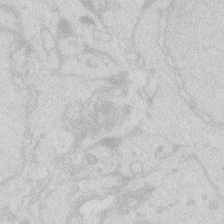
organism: Zebrafish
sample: Macrophage